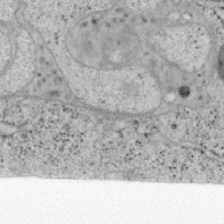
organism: Mouse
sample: OT-I killer T cells with ID8 ovarian cancer cells